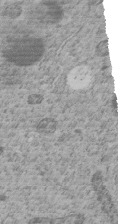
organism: C. elegans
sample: C. elegans embryo early stage